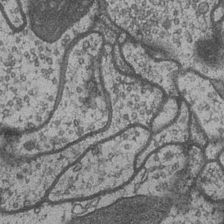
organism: Drosophila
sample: Optic medulla